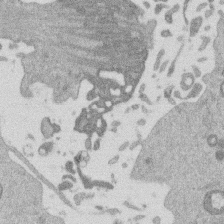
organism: Mouse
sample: Dividing mouse embryo 1 cell stage